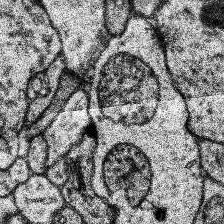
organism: Human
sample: Temporal Lobe